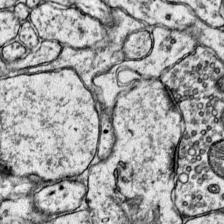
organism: Mouse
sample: Primary visual cortex